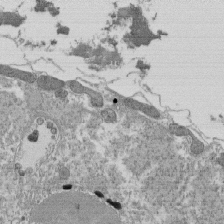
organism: Tetrahymena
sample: Cilia in tetrahymena